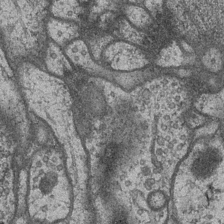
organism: Drosophila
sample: Optic medulla